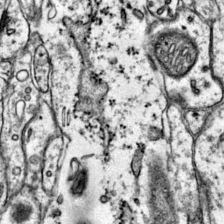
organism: Mouse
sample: Primary visual cortex